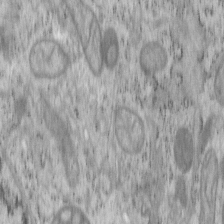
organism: Human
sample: HeLa cells